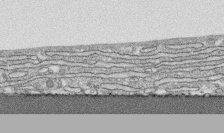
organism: Human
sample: CRL-1474